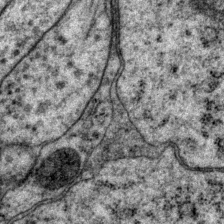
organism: P. pacificus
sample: Pharynx